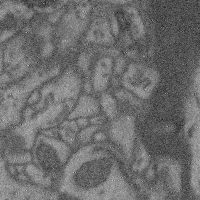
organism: Mouse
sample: Cerebral cortex